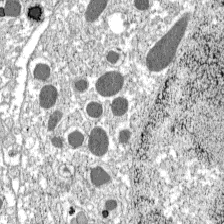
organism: C57BL Mouse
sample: Pancreatic islet